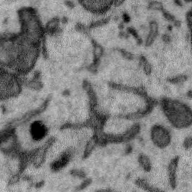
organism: Zebra finch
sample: Brain